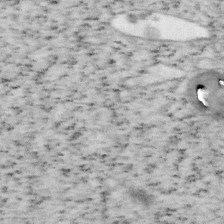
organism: Mouse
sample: OT-I killer T cells with ID8 ovarian cancer cells